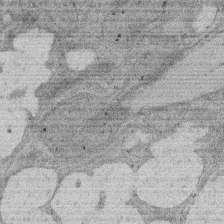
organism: Rat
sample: Salivary granule